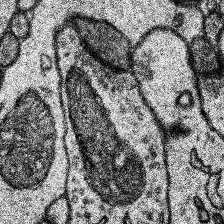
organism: Human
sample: Temporal Lobe